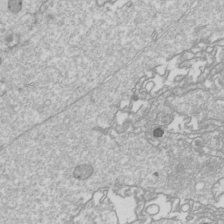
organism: Drosophila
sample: Cell division; meiosis; drosophila spermatocytes